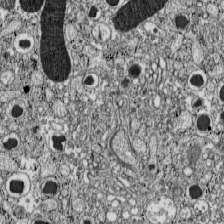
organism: C57BL Mouse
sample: Pancreatic islet